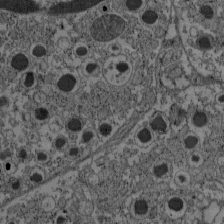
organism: C57BL Mouse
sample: Pancreatic islet